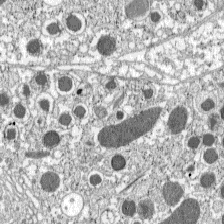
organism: C57BL Mouse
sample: Pancreatic islet